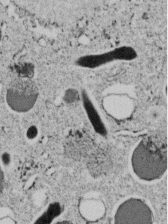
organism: C. elegans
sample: C. elegans embryo early stage